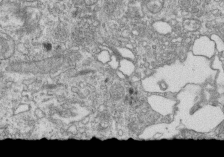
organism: Human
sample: HeLa cell HIV synapse